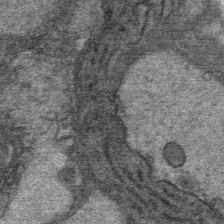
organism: Mouse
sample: Mouse Salivary gland